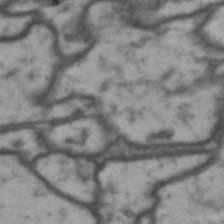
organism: Drosophila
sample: Brain